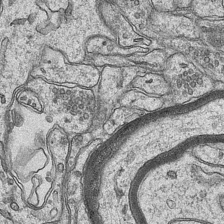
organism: Mouse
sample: CA1 Hippocampus